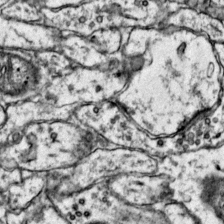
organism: Mouse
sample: Primary visual cortex